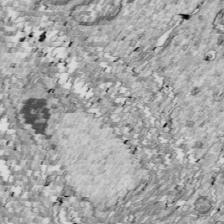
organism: Drosophila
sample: Cell division; meiosis; drosophila spermatocytes